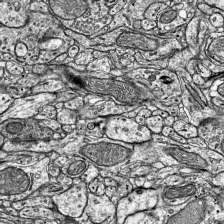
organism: Mouse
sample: Visual Cortex